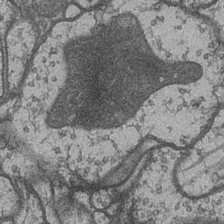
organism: Drosophila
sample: Optic medulla